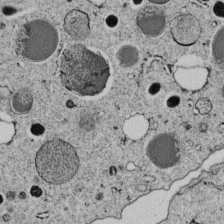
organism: C. elegans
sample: C. elegans embryo early stage